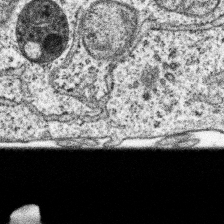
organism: Human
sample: HeLa cells